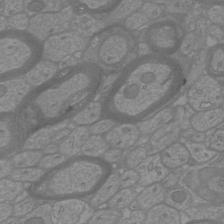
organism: Mouse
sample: Cortical neurons